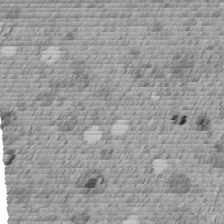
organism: C. elegans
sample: C. elegans embryo early stage